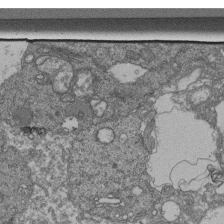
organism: Human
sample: Retinal organoid Rod and Cone cells